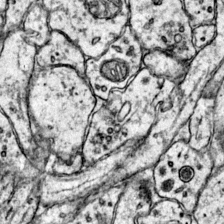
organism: Mouse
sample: Primary visual cortex